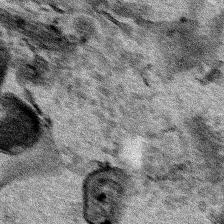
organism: Human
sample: Mitochondria in HCT116 cells